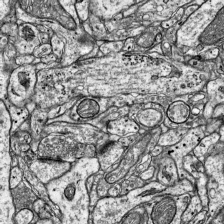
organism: Mouse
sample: Visual Cortex